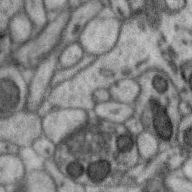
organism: Zebra finch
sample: Brain